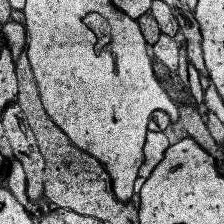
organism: Human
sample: Temporal Lobe